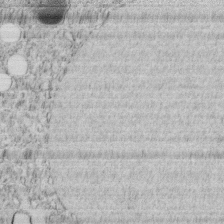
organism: C. elegans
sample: C. elegans embryo early stage